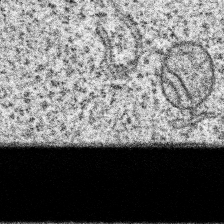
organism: Human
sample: HeLa cells